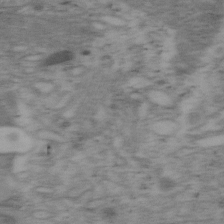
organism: Mouse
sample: OT-I killer T cells with ID8 ovarian cancer cells